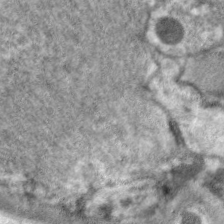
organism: C. elegans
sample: Pharynx